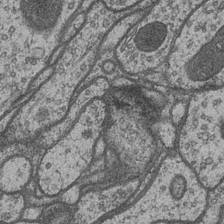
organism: Drosophila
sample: Optic medulla